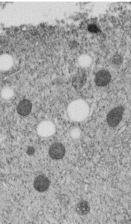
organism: C. elegans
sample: C. elegans embryo early stage